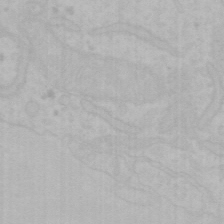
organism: Mouse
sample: Choroid plexus